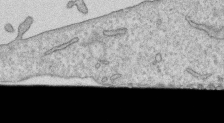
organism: Human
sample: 1205lu cells